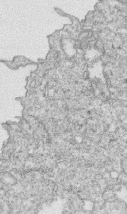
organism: Human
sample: HeLa cell HIV synapse